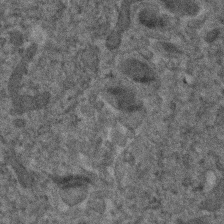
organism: Human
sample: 1205lu cells